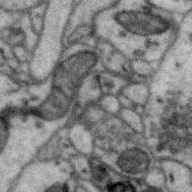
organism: Zebra finch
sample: Brain